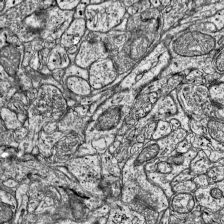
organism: Mouse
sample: Visual Cortex